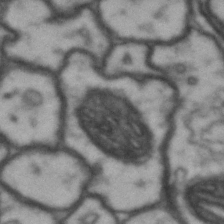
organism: Drosophila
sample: Brain